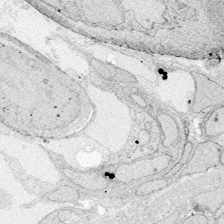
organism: Zebrafish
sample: Whole-Brain